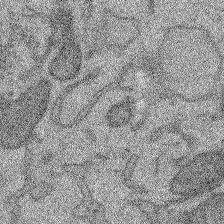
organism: Human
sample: HeLa cells